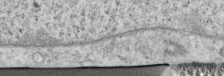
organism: Human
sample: Centriole in RPE cells